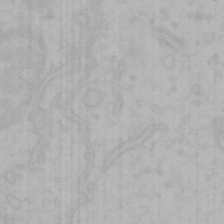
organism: Mouse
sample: Choroid plexus